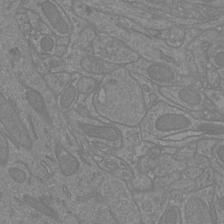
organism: Mouse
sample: Cortical neurons